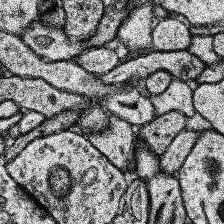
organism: Human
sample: Temporal Lobe